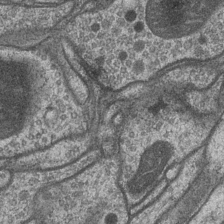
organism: Drosophila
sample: Optic medulla